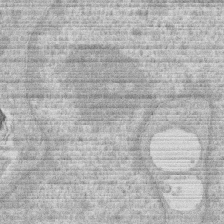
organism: Human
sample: Macrophage cells